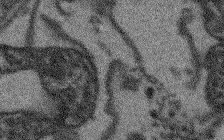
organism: Arabidopsis thaliana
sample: Root tip